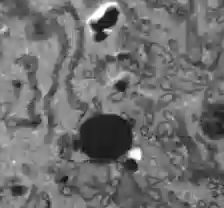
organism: C57BL Mouse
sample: Liver